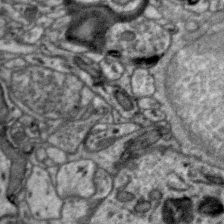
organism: Zebra finch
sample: Brain